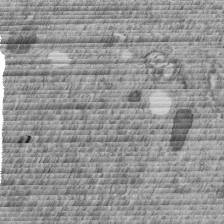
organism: C. elegans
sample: C. elegans embryo early stage